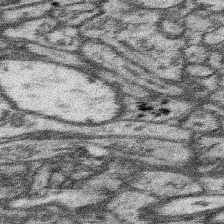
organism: Mouse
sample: Somatosensory cortex neuropil